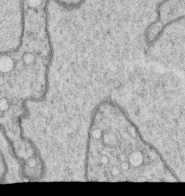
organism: C. elegans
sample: C. elegans oocyte; sperm cells